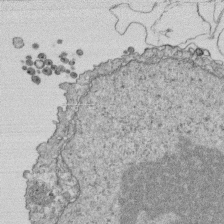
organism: Human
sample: HeLa cell HIV synapse